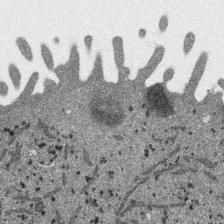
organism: Human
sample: Lung epithelial cells infected with SARS-CoV-2